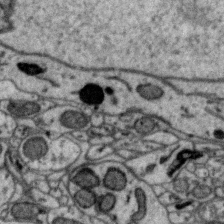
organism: Zebra finch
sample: Brain